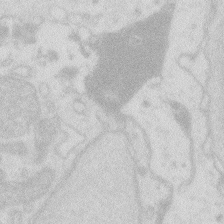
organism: Zebrafish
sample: Macrophage